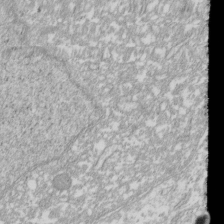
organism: Xenopus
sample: Cilia; centrioles in frog embryo cells